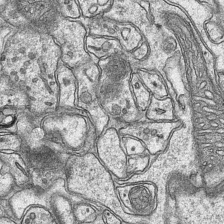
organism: Mouse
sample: CA1 Hippocampus